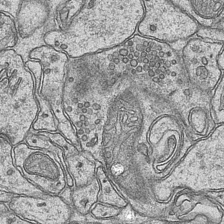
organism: Mouse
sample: CA1 Hippocampus